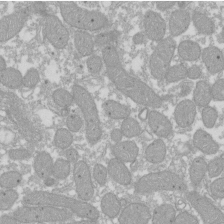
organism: Xenopus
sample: Cilia; centrioles in frog embryo cells